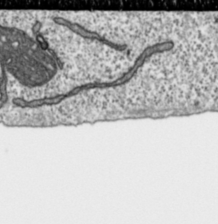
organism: Toxoplasma gondii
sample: Parasites in a vacuole inside a host cell